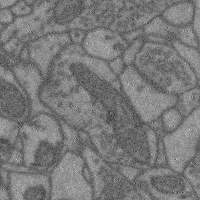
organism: Mouse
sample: Cerebral cortex